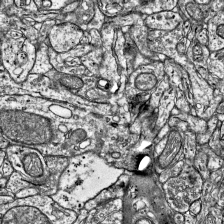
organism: Mouse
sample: Visual Cortex